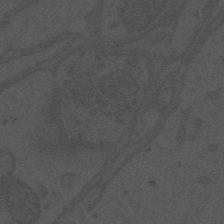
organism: Mouse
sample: Suprachiasmatic nucleus